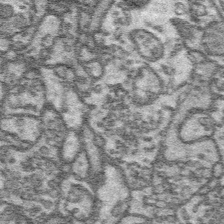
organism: Platynereis dumerilii